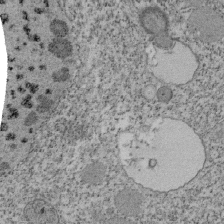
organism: Tetrahymena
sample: Cilia in tetrahymena